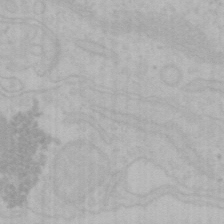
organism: Mouse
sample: Choroid plexus